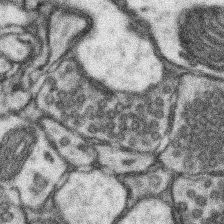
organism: Mouse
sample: Somatosensory cortex neuropil